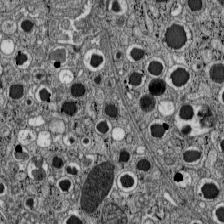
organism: C57BL Mouse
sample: Pancreatic islet